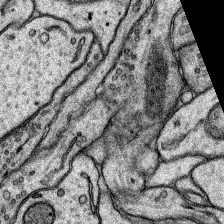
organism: Rat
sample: Hippocampus